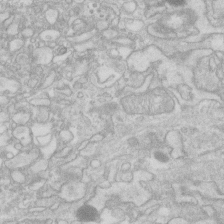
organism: Human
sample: Fibroblast cells